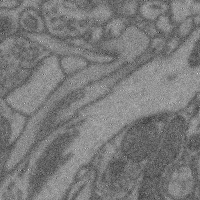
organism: Mouse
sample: Cerebral cortex